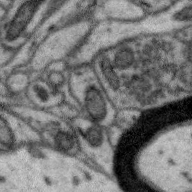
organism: Zebra finch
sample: Brain